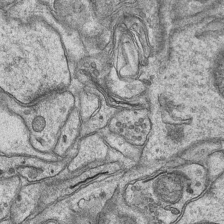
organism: Mouse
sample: CA1 Hippocampus